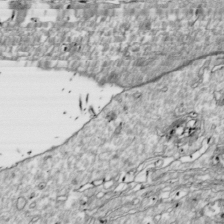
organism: Drosophila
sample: Cell division; meiosis; drosophila spermatocytes